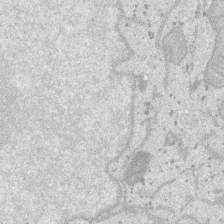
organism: Human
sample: Lung epithelial cells infected with SARS-CoV-2